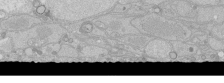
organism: Human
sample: Caco-2 cells